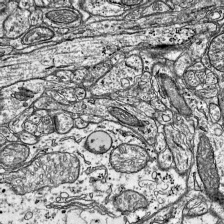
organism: Mouse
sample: Visual Cortex